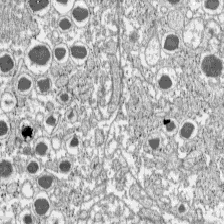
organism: C57BL Mouse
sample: Pancreatic islet